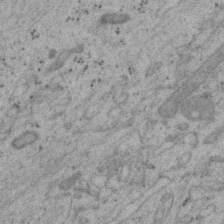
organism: Human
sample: HeLa cells